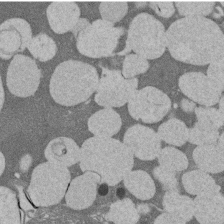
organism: Rat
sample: Salivary granule